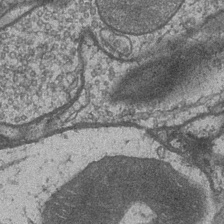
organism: Drosophila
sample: Optic medulla